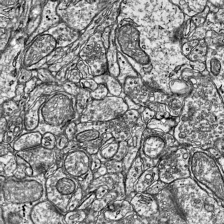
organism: Mouse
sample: Visual Cortex